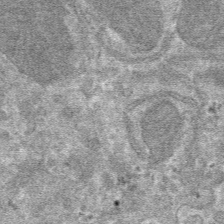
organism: Mouse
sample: Mouse hepatocytes